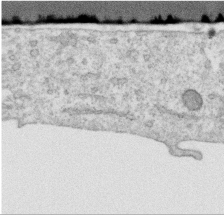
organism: Human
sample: Centriole in RPE cells